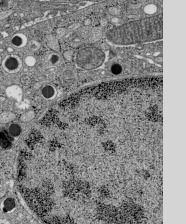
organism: C57BL Mouse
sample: Pancreatic islet